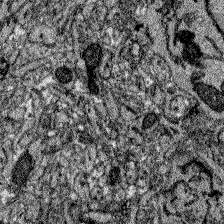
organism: Zebrafish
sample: Larval olfactory bulb